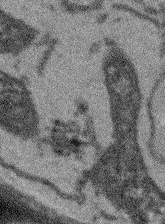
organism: Arabidopsis thaliana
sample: Root tip